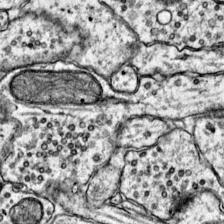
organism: Mouse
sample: Primary visual cortex